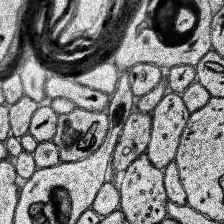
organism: Human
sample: Temporal Lobe